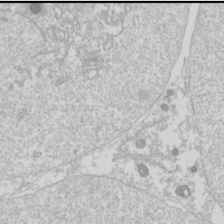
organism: Drosophila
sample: Cell division; meiosis; drosophila spermatocytes